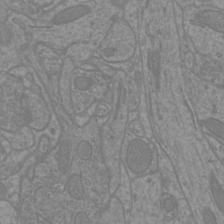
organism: Mouse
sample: Cortical neurons